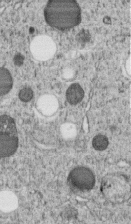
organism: C. elegans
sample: C. elegans embryo early stage